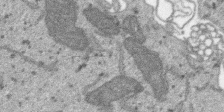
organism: Human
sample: Lung epithelial cells infected with SARS-CoV-2